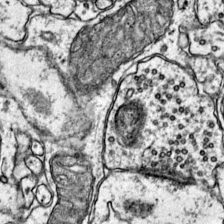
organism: Mouse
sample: Primary visual cortex